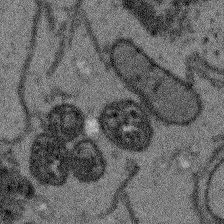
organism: Arabidopsis thaliana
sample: Root tip